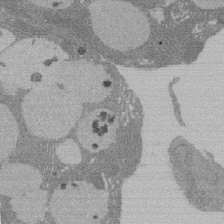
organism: Rat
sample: Salivary granule